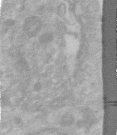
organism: Human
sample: Centriole in RPE cells